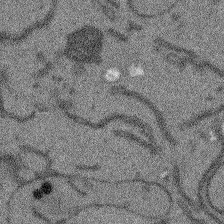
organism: Arabidopsis thaliana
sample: Root tip